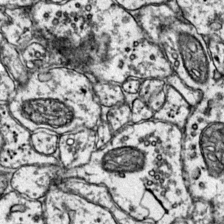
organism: Mouse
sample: Primary visual cortex